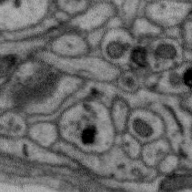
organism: Zebra finch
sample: Brain